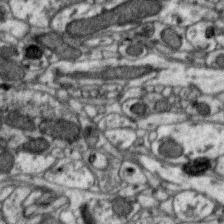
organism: Zebra finch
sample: Brain